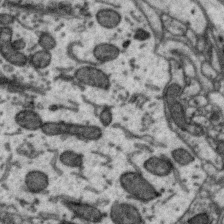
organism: Zebra finch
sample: Brain